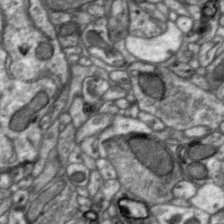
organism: Zebra finch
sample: Brain